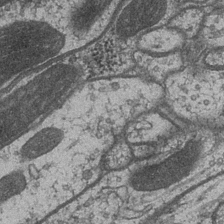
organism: Drosophila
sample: Optic medulla